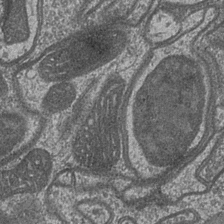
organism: Drosophila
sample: Optic medulla